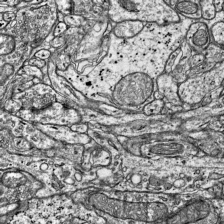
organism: Mouse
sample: Visual Cortex